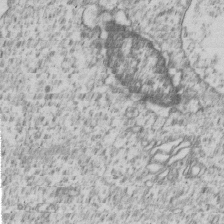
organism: Human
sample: MDA-MB-231 cells